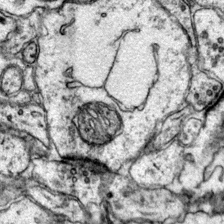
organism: Mouse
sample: Primary visual cortex